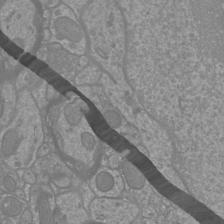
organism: Mouse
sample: Cortical neurons